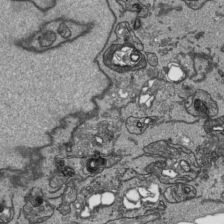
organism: Human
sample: Mitochondria in HCT116 cells